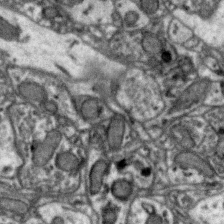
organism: Zebra finch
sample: Brain